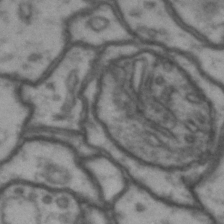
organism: Drosophila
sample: Brain